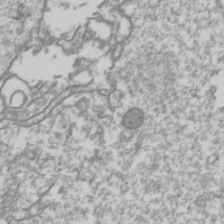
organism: Drosophila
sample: Cell division; meiosis; drosophila spermatocytes